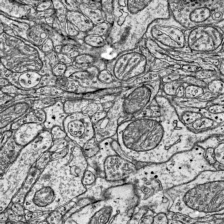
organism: Mouse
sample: Visual Cortex